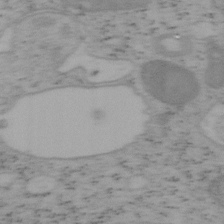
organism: Mouse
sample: OT-I killer T cells with ID8 ovarian cancer cells